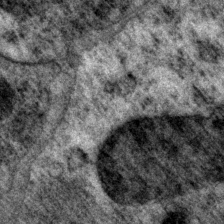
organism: P. pacificus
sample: Pharynx